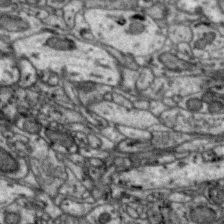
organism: Zebra finch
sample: Brain